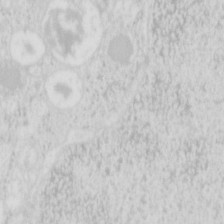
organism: Mouse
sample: Pancreas